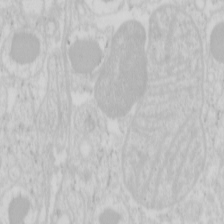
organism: Mouse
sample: Pancreas